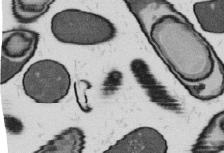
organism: B. subtilis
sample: Bacterial spore